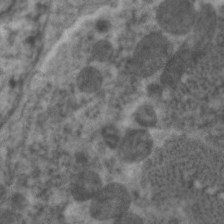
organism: C. elegans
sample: Pharynx